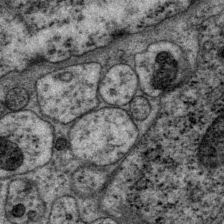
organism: P. pacificus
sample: Pharynx